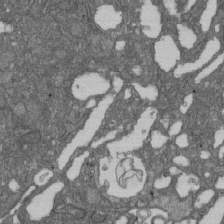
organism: Drosophila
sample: Nephrocyte